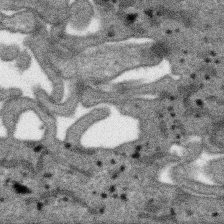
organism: Human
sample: Lung epithelial cells infected with SARS-CoV-2